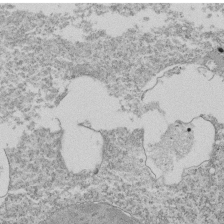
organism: Tetrahymena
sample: Cilia in tetrahymena